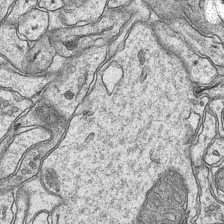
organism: Mouse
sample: CA1 Hippocampus